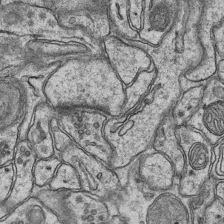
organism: Mouse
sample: CA1 Hippocampus